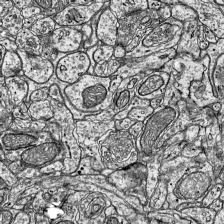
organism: Mouse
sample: Visual Cortex